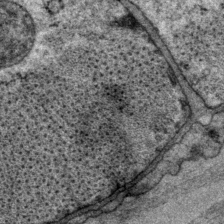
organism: P. pacificus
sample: Pharynx